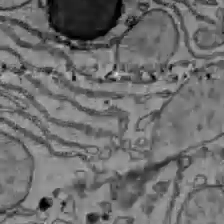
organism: C57BL Mouse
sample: Liver